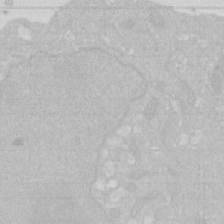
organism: Human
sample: HIV infected U937 cells